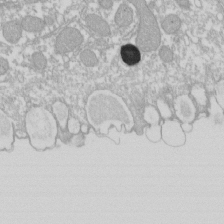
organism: Xenopus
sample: Cilia; centrioles in frog embryo cells